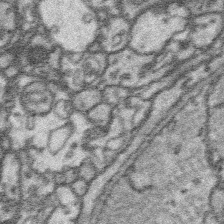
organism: Platynereis dumerilii